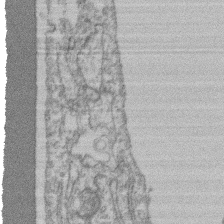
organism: Mouse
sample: T cell stromal cell synapse